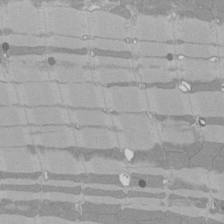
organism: Rat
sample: Left ventricle